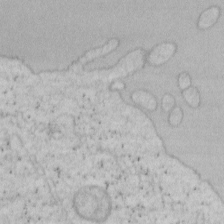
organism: Human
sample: HeLa cells